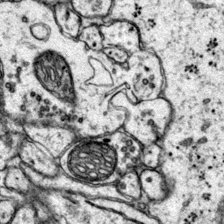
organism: Mouse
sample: Primary visual cortex